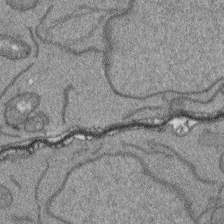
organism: Arabidopsis thaliana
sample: Root tip